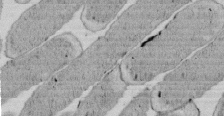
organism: E. coli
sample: Bacterial nucleoid